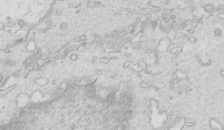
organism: Mouse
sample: Multiciliated cells